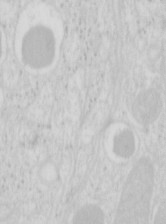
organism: Mouse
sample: Pancreas